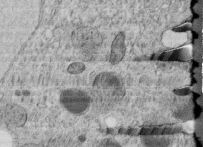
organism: C. elegans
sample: C. elegans embryo early stage